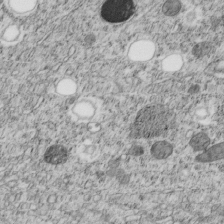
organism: C. elegans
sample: C. elegans embryo early stage